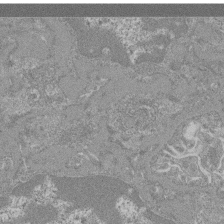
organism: Mouse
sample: Glomerulus